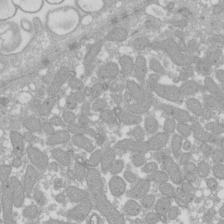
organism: Xenopus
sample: Cilia; centrioles in frog embryo cells